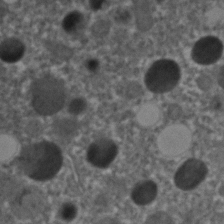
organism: C. elegans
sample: C. elegans embryo